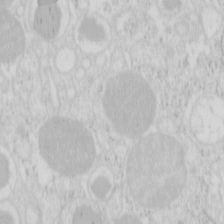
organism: Mouse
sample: Pancreas